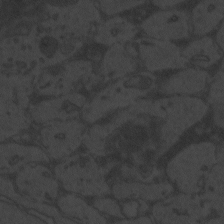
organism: Zebrafish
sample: Macrophage infected with Toxoplasma gondii